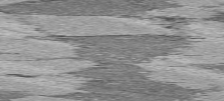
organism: C57BL Mouse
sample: Heart